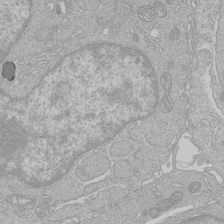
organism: Human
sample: Macrophage cells